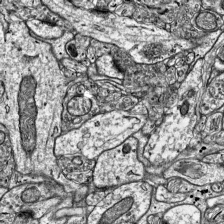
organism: Mouse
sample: Visual Cortex